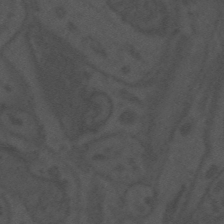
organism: Mouse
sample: Suprachiasmatic nucleus